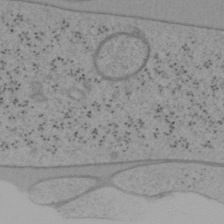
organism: Human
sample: HeLa cells